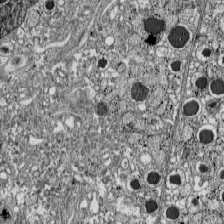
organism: C57BL Mouse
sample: Pancreatic islet